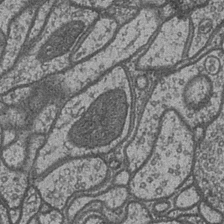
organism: Drosophila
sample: Optic medulla